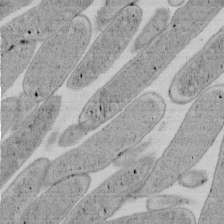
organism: E. coli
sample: Bacterial nucleoid